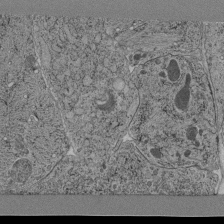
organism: C. elegans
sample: C. elegans pharynx